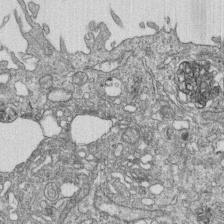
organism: Human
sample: HeLa cell HIV synapse